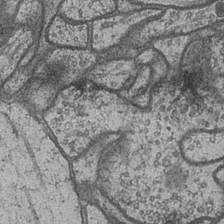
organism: Drosophila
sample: Optic medulla